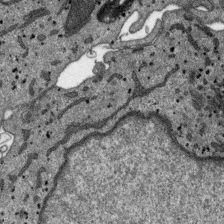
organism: Human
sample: Lung epithelial cells, uninfected (mock) control